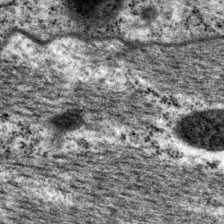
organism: P. pacificus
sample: Pharynx